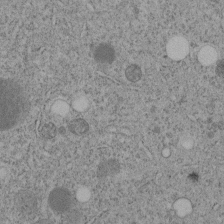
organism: C. elegans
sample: C. elegans embryo early stage